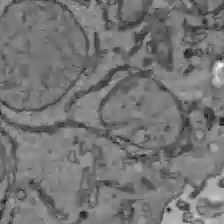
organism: C57BL Mouse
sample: Liver